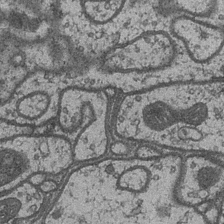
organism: Drosophila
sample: Optic medulla